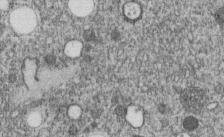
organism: C. elegans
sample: C. elegans embryo early stage